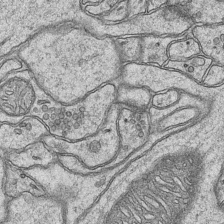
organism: Mouse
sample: CA1 Hippocampus